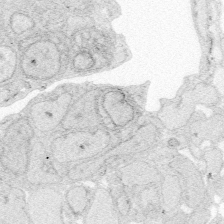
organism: Zebrafish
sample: Whole-Brain